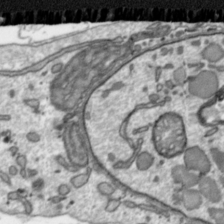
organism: Toxoplasma gondii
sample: Parasites in a vacuole inside a host cell